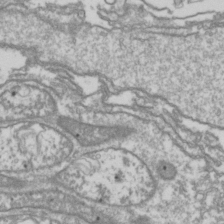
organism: Drosophila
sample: Cell division; meiosis; drosophila spermatocytes